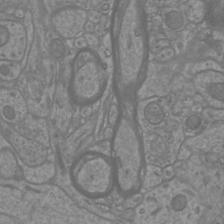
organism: Mouse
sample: Cortical neurons